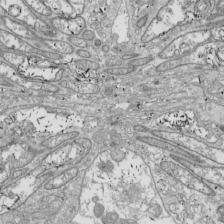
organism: Drosophila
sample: Cell division; meiosis; drosophila spermatocytes